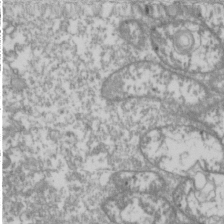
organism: Drosophila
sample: Cell division; meiosis; drosophila spermatocytes